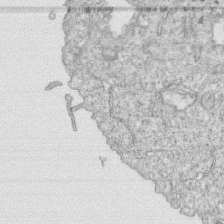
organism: Human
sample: HeLa cell HIV synapse